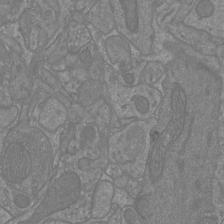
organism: Mouse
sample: Cortical neurons